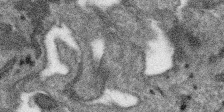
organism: Human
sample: Lung epithelial cells infected with SARS-CoV-2